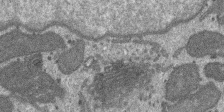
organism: Human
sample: Lung epithelial cells infected with SARS-CoV-2